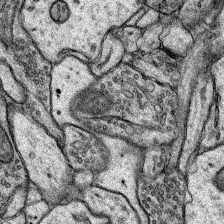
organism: Rat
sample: Hippocampus